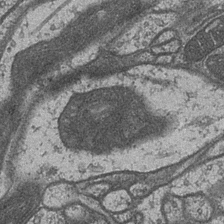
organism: Drosophila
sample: Optic medulla